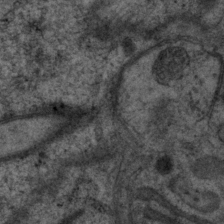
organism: P. pacificus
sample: Pharynx